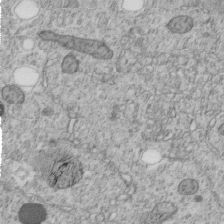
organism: C. elegans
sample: C. elegans embryo early stage